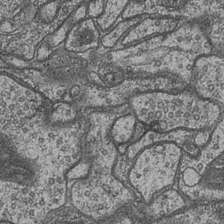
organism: Drosophila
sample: Optic medulla